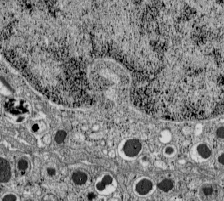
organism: C57BL Mouse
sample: Pancreatic islet